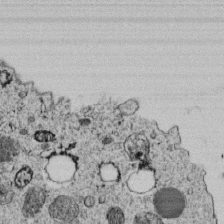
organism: C. elegans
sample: C. elegans embryo early stage